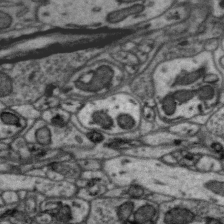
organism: Zebra finch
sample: Brain